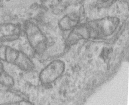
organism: Human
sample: Centriole in RPE cells